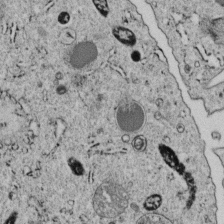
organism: C. elegans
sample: C. elegans embryo early stage